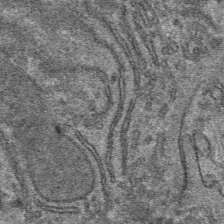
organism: Mouse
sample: Mouse hepatocytes